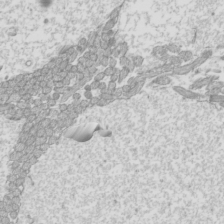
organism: Mouse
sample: Cilia; mouse epididymis